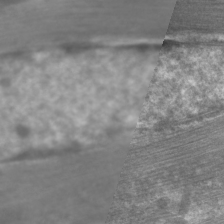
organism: C. elegans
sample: Pharynx